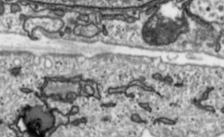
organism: Toxoplasma gondii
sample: Parasites in a vacuole inside a host cell